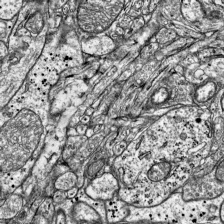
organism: Mouse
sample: Visual Cortex